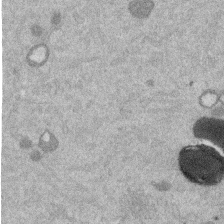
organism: Mouse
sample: Dividing mouse embryo 1 cell stage